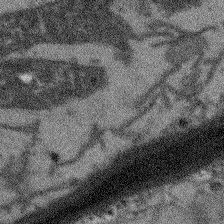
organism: Arabidopsis thaliana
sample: Root tip